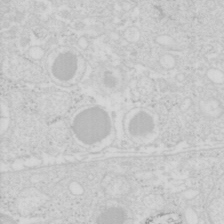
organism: Mouse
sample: Pancreas